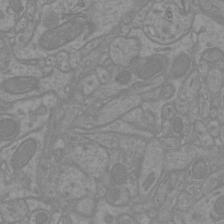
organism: Mouse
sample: Cortical neurons